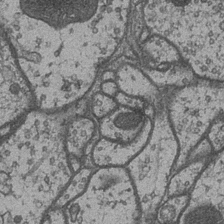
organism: Drosophila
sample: Optic medulla